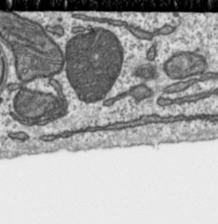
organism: Toxoplasma gondii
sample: Parasites in a vacuole inside a host cell